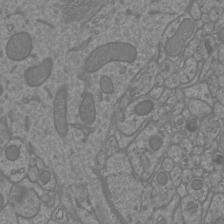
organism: Mouse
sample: Cortical neurons